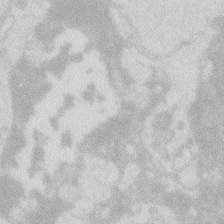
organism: Zebrafish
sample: Macrophage